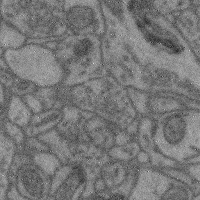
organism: Mouse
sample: Cerebral cortex